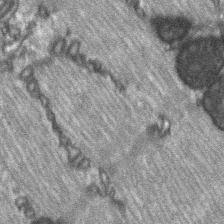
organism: C57BL Mouse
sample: Soleus